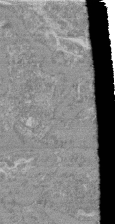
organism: Mouse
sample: Glomerulus